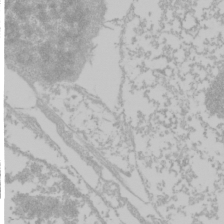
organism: Mouse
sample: Cancer cell death in ED-1 cells